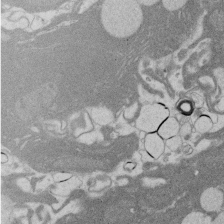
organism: Rat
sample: Salivary granule